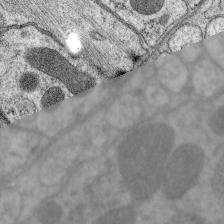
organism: C. elegans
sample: Pharynx